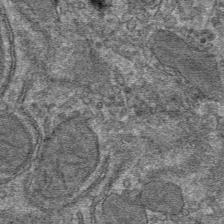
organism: Mouse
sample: Mouse hepatocytes